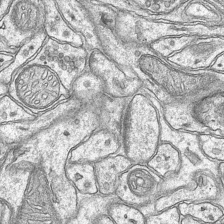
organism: Mouse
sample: CA1 Hippocampus